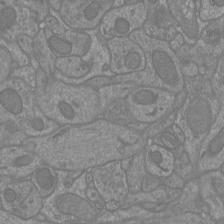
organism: Mouse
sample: Cortical neurons